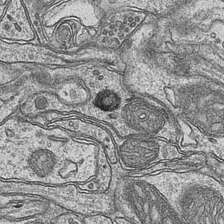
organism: Mouse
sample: CA1 Hippocampus